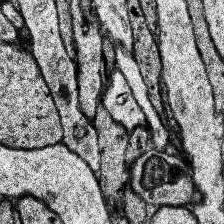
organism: Human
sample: Temporal Lobe